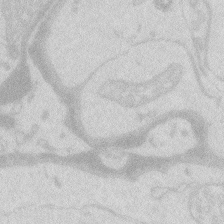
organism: Zebrafish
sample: Macrophage